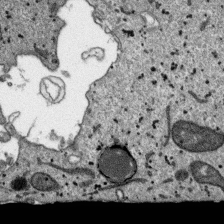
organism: Human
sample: Lung epithelial cells, uninfected (mock) control